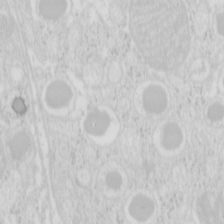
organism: Mouse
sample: Pancreas